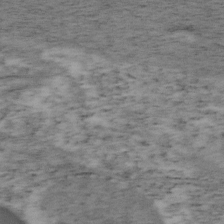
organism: Mouse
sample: OT-I killer T cells with ID8 ovarian cancer cells